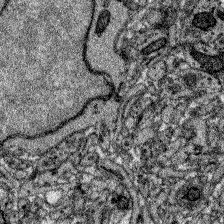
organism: Zebrafish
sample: Larval olfactory bulb